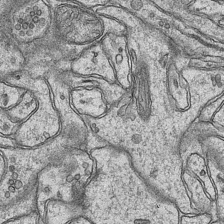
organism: Mouse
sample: CA1 Hippocampus